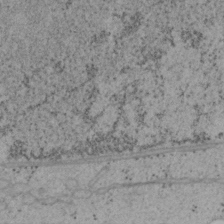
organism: Human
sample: HeLa cells